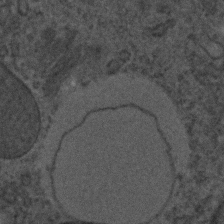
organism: C. elegans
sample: C. elegans embryo